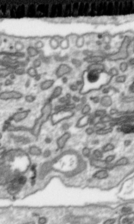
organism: Toxoplasma gondii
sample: Parasites in a vacuole inside a host cell